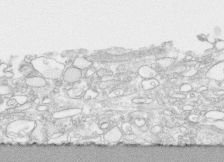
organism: Human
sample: CRL-1474